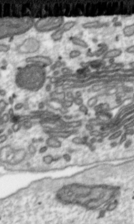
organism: Toxoplasma gondii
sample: Parasites in a vacuole inside a host cell